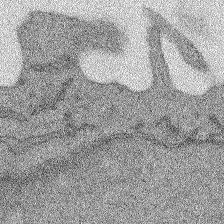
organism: Human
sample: HeLa cells